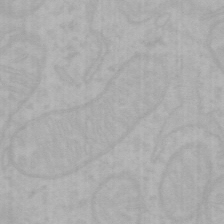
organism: Mouse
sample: Choroid plexus